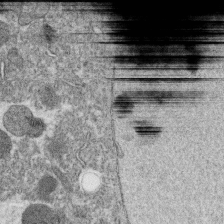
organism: C. elegans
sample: C. elegans oocyte; sperm cells